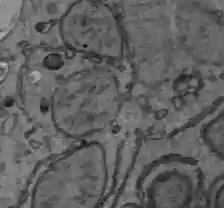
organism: C57BL Mouse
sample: Liver